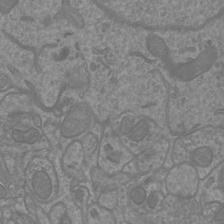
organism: Mouse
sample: Cortical neurons